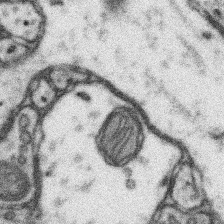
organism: Mouse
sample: Somatosensory cortex neuropil